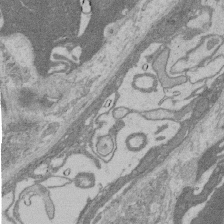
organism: Rat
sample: Salivary granule